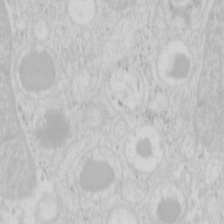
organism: Mouse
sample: Pancreas